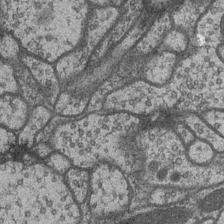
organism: Drosophila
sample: Optic medulla